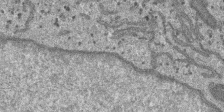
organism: Human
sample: Lung epithelial cells infected with SARS-CoV-2